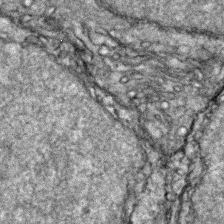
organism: Zebrafish